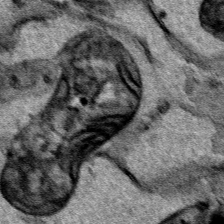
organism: Human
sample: Mitochondria in HCT116 cells